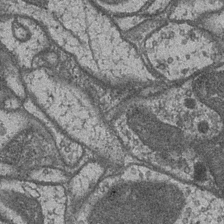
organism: Drosophila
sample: Optic medulla